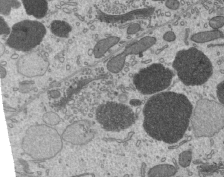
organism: Mouse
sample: Mouse epididymis efferent ductule cilia